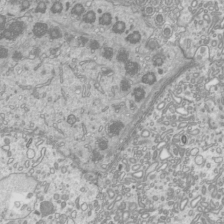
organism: Mouse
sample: Cilia; mouse epididymis